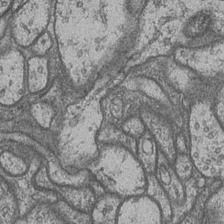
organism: Drosophila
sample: Optic medulla